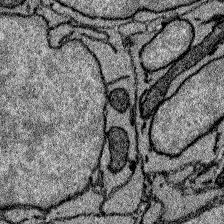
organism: Zebrafish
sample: Larval olfactory bulb